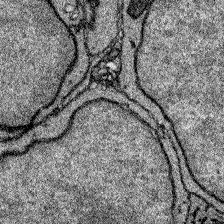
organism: Zebrafish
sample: Larval olfactory bulb